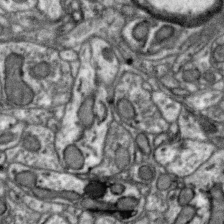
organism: Zebra finch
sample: Brain